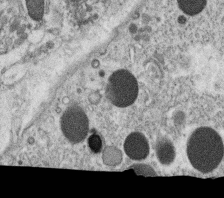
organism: C. elegans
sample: C. elegans oocyte; sperm cells